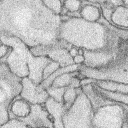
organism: Rabbit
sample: Retina